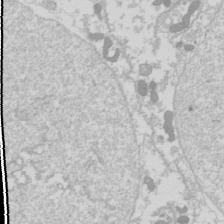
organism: Drosophila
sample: Cell division; meiosis; drosophila spermatocytes